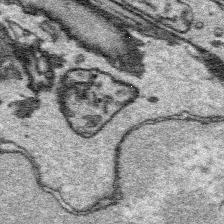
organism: Platynereis dumerilii